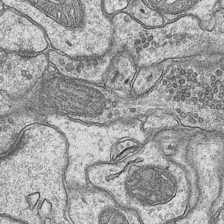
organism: Mouse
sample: CA1 Hippocampus